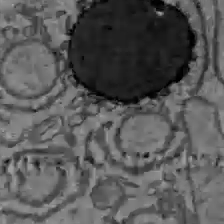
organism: C57BL Mouse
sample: Liver